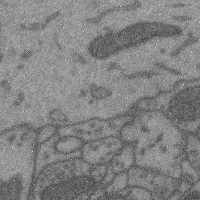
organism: Mouse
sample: Cerebral cortex